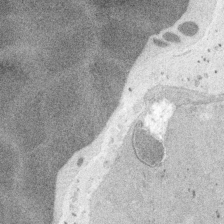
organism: Embia sp.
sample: Silk gland